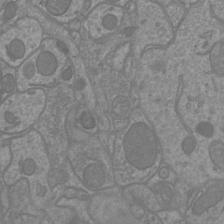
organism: Mouse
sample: Cortical neurons